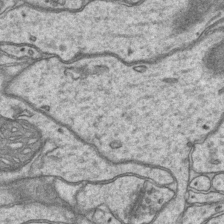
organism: Mouse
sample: CA1 Hippocampus